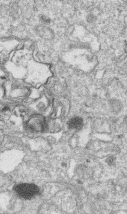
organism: Human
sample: HeLa cell HIV synapse